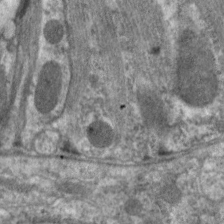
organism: C. elegans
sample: Pharynx